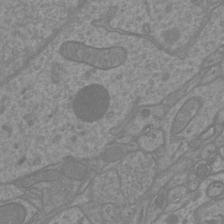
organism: Mouse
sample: Cortical neurons